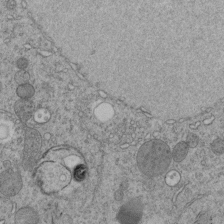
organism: C. elegans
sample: C. elegans embryo early stage